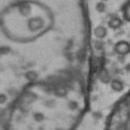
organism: Drosophila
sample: Brain